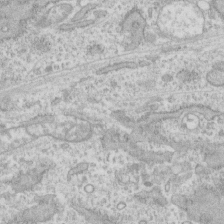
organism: Human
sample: CRL-1474